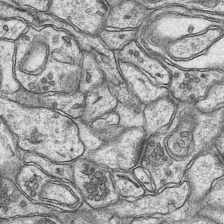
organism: Mouse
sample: CA1 Hippocampus